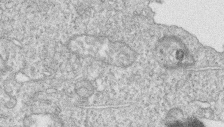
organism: Human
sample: HeLa cell HIV synapse